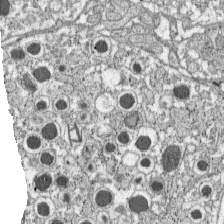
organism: C57BL Mouse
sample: Pancreatic islet